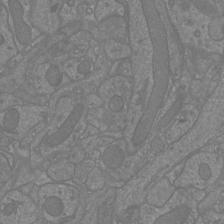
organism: Mouse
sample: Cortical neurons